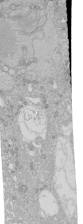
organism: Human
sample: Caco-2 cells